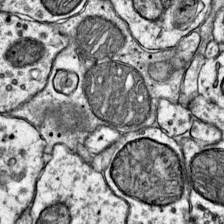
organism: Mouse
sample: Primary visual cortex